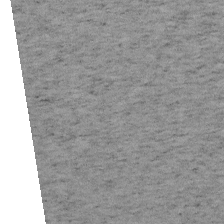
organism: Mouse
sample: OT-I killer T cells with ID8 ovarian cancer cells